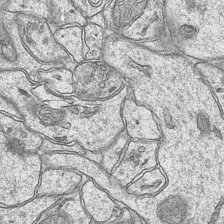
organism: Mouse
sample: CA1 Hippocampus